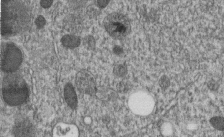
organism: C. elegans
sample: C. elegans embryo early stage